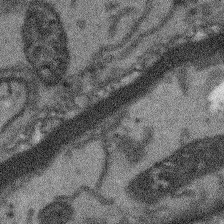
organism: Arabidopsis thaliana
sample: Root tip